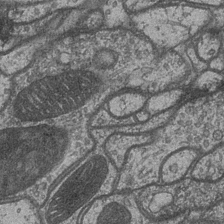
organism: Drosophila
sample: Optic medulla